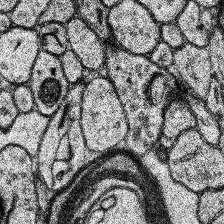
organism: Human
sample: Temporal Lobe